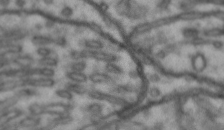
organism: Drosophila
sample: Brain